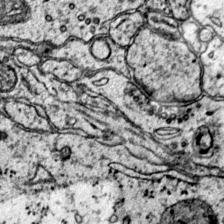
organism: Mouse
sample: Primary visual cortex